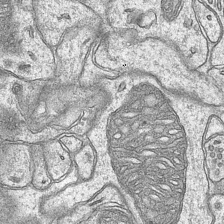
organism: Mouse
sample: CA1 Hippocampus